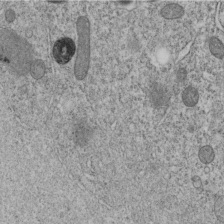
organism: C. elegans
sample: C. elegans embryo early stage